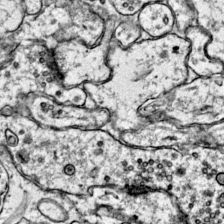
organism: Mouse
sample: Primary visual cortex